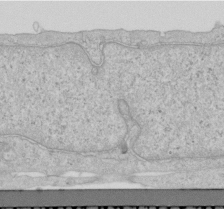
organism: Human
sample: Centriole in RPE cells